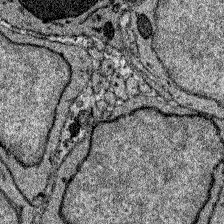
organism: Zebrafish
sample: Larval olfactory bulb